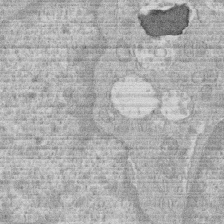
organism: Human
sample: Macrophage cells